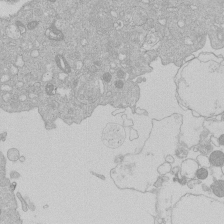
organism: Human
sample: Macrophage cells